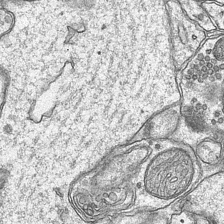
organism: Mouse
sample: CA1 Hippocampus